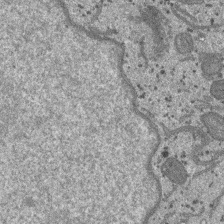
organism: Human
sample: Lung epithelial cells infected with SARS-CoV-2